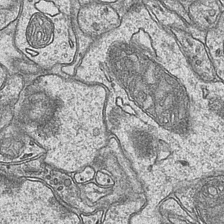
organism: Mouse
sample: CA1 Hippocampus